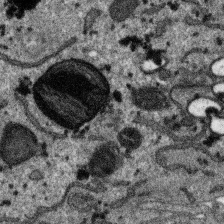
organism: Human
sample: Lung epithelial cells infected with SARS-CoV-2